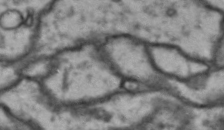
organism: Drosophila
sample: Brain